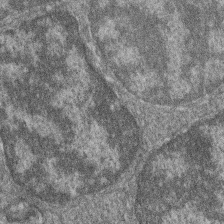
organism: Zebrafish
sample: Cilia; retinal pigment epithelium